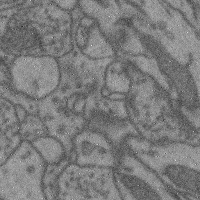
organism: Mouse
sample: Cerebral cortex